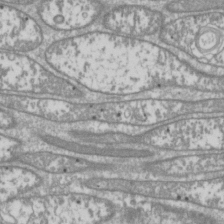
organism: Drosophila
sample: Cell division; meiosis; drosophila spermatocytes